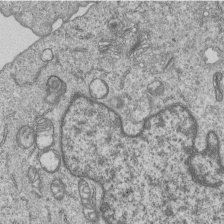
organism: Human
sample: MDA-MB-231 cells